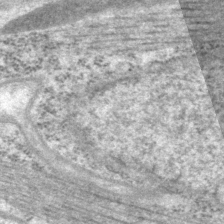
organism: P. pacificus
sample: Pharynx